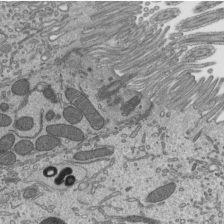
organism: Mouse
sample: Mouse epididymis efferent ductule cilia